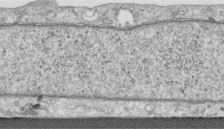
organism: Human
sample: Centriole in RPE cells